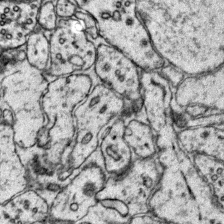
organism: Mouse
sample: Primary visual cortex